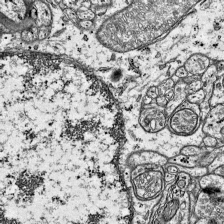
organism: Mouse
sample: Visual Cortex